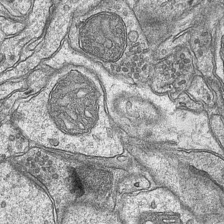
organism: Mouse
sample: CA1 Hippocampus